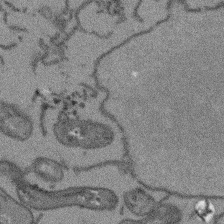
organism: Arabidopsis thaliana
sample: Root tip